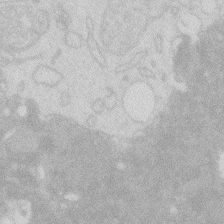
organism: Zebrafish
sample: Macrophage